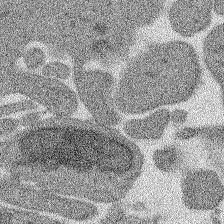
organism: Human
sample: HeLa cells